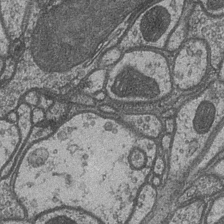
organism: Drosophila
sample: Optic medulla